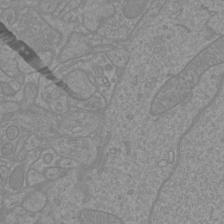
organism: Mouse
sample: Cortical neurons